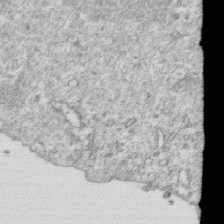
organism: Mouse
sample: Activated OT-1 CD8+ T cells